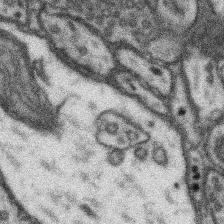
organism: Mouse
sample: Somatosensory cortex neuropil